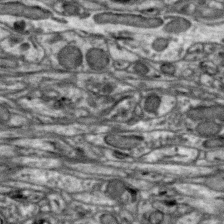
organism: Zebra finch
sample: Brain